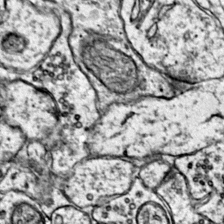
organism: Mouse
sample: Primary visual cortex